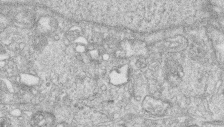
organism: Human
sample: HeLa cell HIV synapse